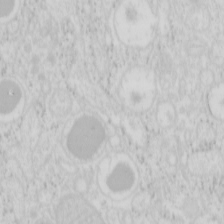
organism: Mouse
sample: Pancreas